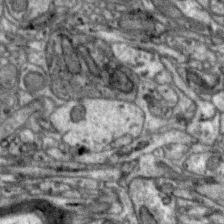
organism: Zebra finch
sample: Brain